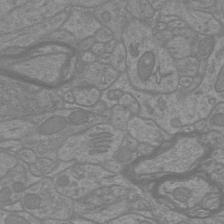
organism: Mouse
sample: Cortical neurons